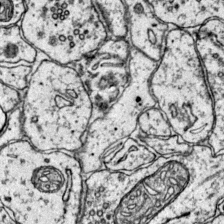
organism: Mouse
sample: Primary visual cortex